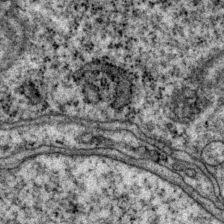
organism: P. pacificus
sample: Pharynx